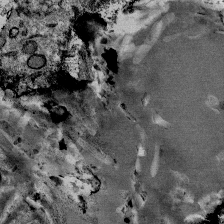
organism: Mouse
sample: Mouse Salivary gland